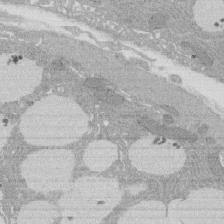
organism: Rat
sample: Salivary granule